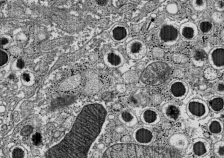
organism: C57BL Mouse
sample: Pancreatic islet